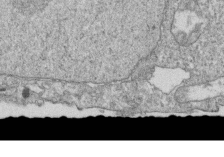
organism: Human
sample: HeLa cell HIV synapse